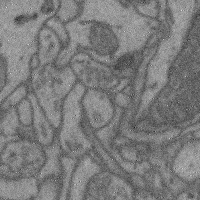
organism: Mouse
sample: Cerebral cortex